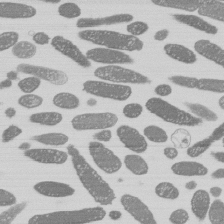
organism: E. coli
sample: Bacterial nucleoid